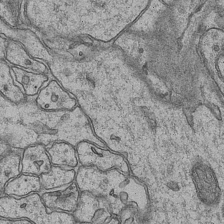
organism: Mouse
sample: CA1 Hippocampus